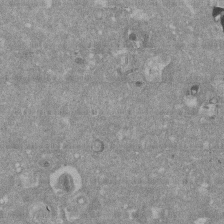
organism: Mouse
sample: ED-1 cell nuclei; centrioles